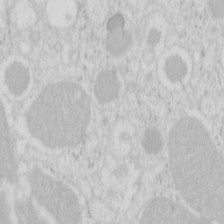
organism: Mouse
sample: Pancreas